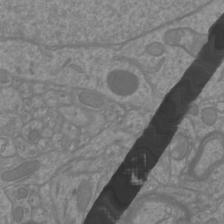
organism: Mouse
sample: Cortical neurons